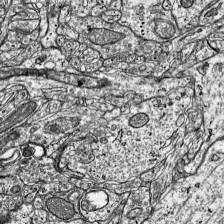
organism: Mouse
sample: Visual Cortex